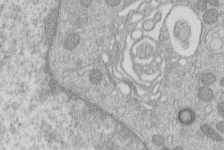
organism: Human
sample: Macrophage cells